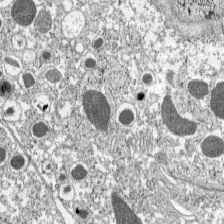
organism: C57BL Mouse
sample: Pancreatic islet